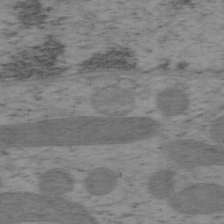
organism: Mouse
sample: OT-I killer T cells with ID8 ovarian cancer cells